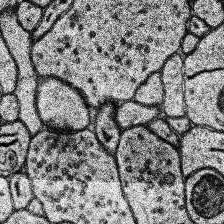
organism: Human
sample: Temporal Lobe